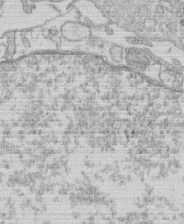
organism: Human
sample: Macrophage cells